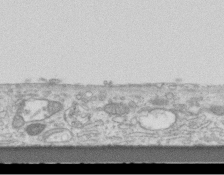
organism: Mouse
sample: Centriole in ependymal cells